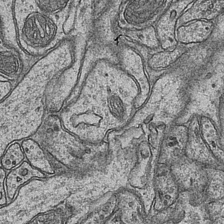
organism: Mouse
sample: CA1 Hippocampus